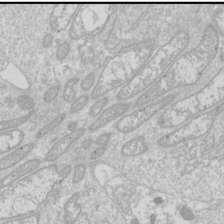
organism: Drosophila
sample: Cell division; meiosis; drosophila spermatocytes